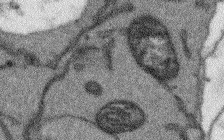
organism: Arabidopsis thaliana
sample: Root tip